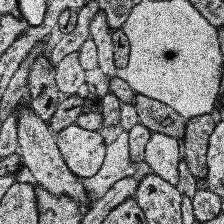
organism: Human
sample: Temporal Lobe